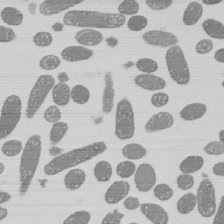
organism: E. coli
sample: Bacterial nucleoid